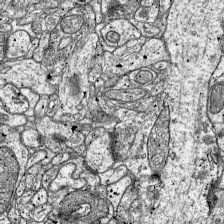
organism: Mouse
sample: Visual Cortex